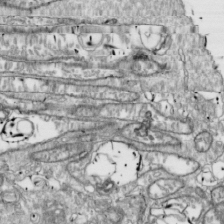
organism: Drosophila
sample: Cell division; meiosis; drosophila spermatocytes